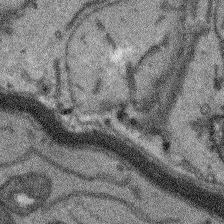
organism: Arabidopsis thaliana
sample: Root tip